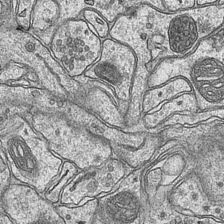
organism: Mouse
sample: CA1 Hippocampus